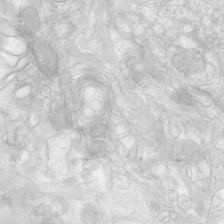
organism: Human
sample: Neocortex